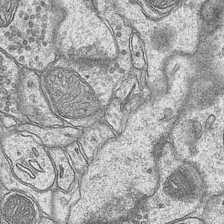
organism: Mouse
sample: CA1 Hippocampus